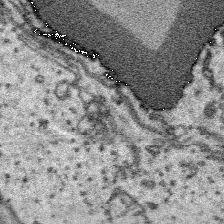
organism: Platynereis dumerilii